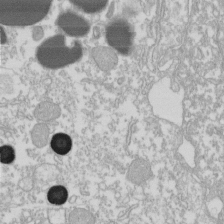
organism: Xenopus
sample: Cilia; centrioles in frog embryo cells